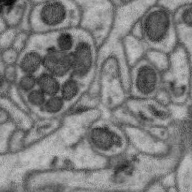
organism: Zebra finch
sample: Brain